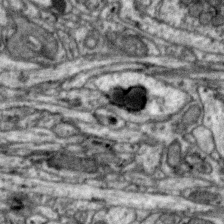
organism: Zebra finch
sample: Brain